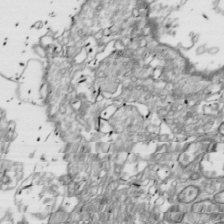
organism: Drosophila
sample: Cell division; meiosis; drosophila spermatocytes